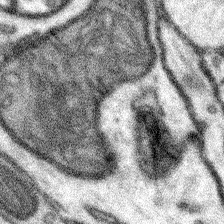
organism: Mouse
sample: Somatosensory cortex neuropil